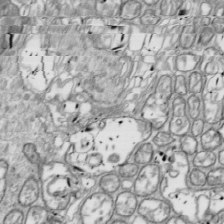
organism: Drosophila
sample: Cell division; meiosis; drosophila spermatocytes